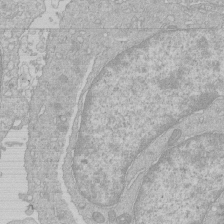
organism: Human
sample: Macrophage cells